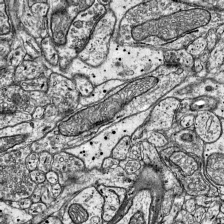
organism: Mouse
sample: Visual Cortex